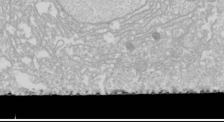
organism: Drosophila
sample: Cell division; meiosis; drosophila spermatocytes